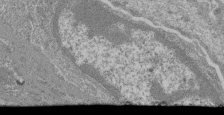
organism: Mouse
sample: Glomerulus